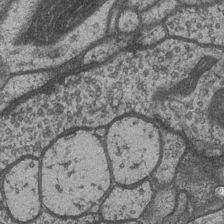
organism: Drosophila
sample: Optic medulla